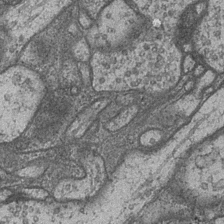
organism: Drosophila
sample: Optic medulla